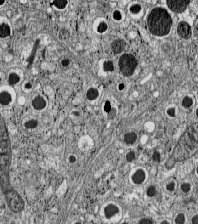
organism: C57BL Mouse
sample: Pancreatic islet